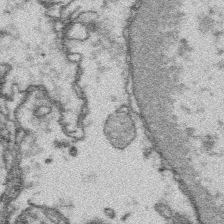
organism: Platynereis dumerilii